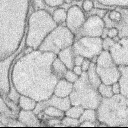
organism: Rabbit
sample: Retina